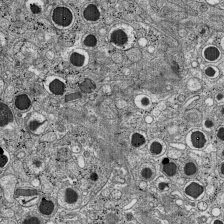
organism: C57BL Mouse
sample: Pancreatic islet